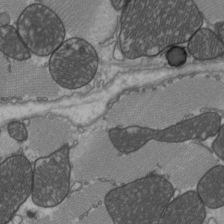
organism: C57BL Mouse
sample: Heart